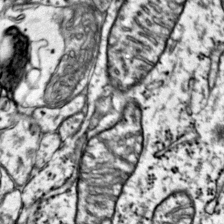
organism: Mouse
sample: Primary visual cortex